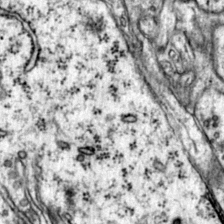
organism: Mouse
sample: Primary visual cortex